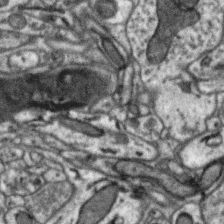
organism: Zebra finch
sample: Brain